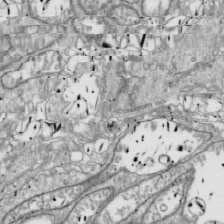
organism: Drosophila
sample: Cell division; meiosis; drosophila spermatocytes